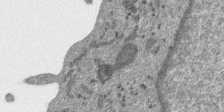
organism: Human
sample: Lung epithelial cells infected with SARS-CoV-2